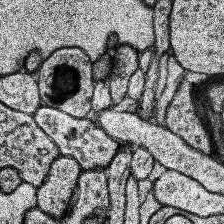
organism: Human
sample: Temporal Lobe